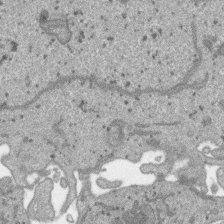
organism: Human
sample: Lung epithelial cells infected with SARS-CoV-2